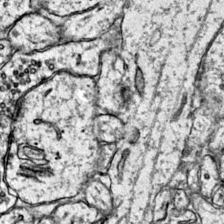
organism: Mouse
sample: Primary visual cortex